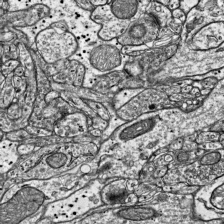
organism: Mouse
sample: Visual Cortex